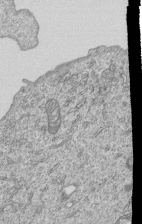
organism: Human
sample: MDA-MB-231 cells